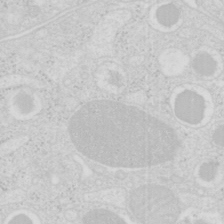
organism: Mouse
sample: Pancreas